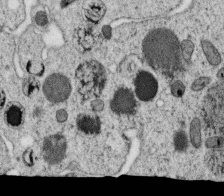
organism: C. elegans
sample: C. elegans oocyte; sperm cells